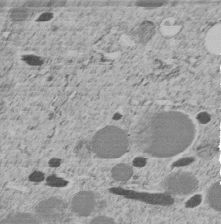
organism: C. elegans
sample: C. elegans embryo early stage